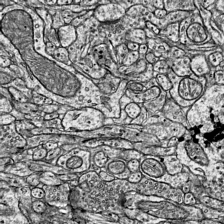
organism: Mouse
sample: Visual Cortex